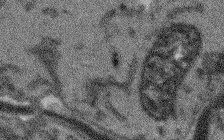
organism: Arabidopsis thaliana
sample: Root tip